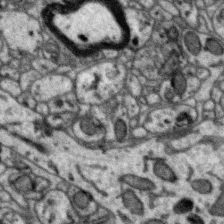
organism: Zebra finch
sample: Brain